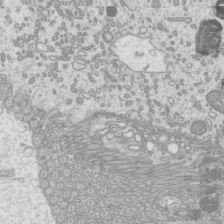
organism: Mouse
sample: Cilia; mouse epididymis